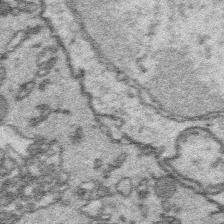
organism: Platynereis dumerilii